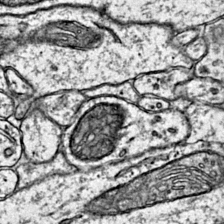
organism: Mouse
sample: Primary visual cortex